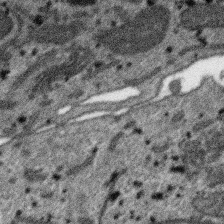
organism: Human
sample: Lung epithelial cells infected with SARS-CoV-2